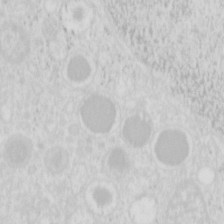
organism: Mouse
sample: Pancreas